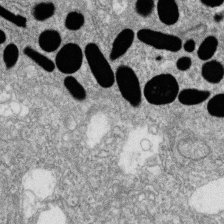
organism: Zebrafish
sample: Cilia; retinal pigment epithelium